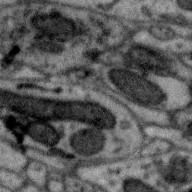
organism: Zebra finch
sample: Brain